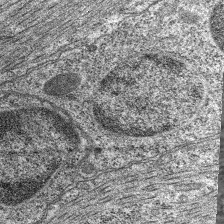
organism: C. elegans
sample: Pharynx